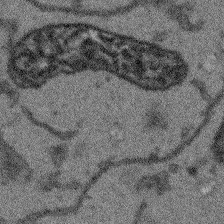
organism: Arabidopsis thaliana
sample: Root tip